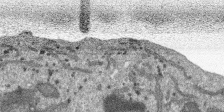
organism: Human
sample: Lung epithelial cells infected with SARS-CoV-2